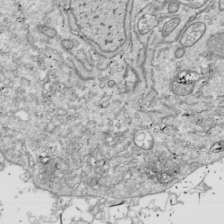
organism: Drosophila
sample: Cell division; meiosis; drosophila spermatocytes